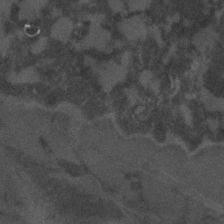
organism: C. elegans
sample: C. elegans embryo